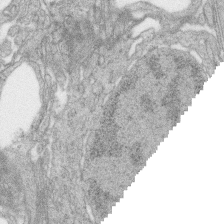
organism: Zebrafish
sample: synaptic ribbons in rod cells and cone cells